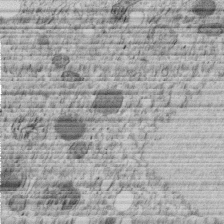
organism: C. elegans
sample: C. elegans embryo early stage